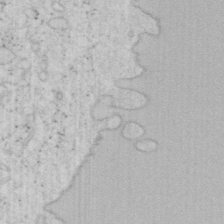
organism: Human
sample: HeLa cells